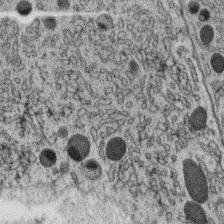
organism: C. elegans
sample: C. elegans oocyte; sperm cells